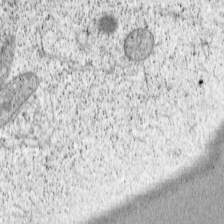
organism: African green monkey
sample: COS-7 cells